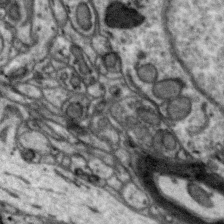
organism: Zebra finch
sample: Brain